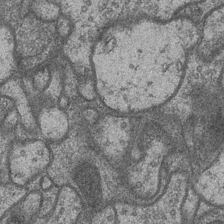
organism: Drosophila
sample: Optic medulla